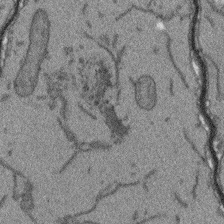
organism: Arabidopsis thaliana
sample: Root tip